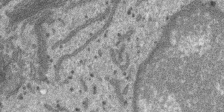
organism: Human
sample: Lung epithelial cells infected with SARS-CoV-2